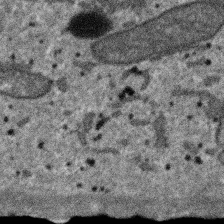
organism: Human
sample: Lung epithelial cells infected with SARS-CoV-2